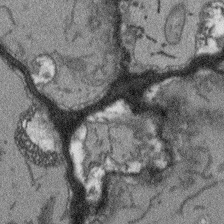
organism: Arabidopsis thaliana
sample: Root tip